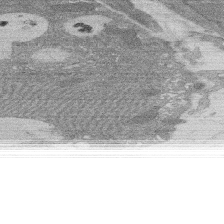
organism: Rat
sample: Salivary granule